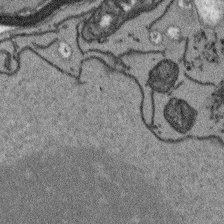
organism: Arabidopsis thaliana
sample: Root tip